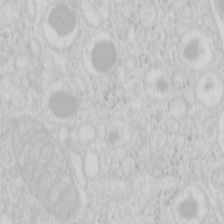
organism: Mouse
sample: Pancreas